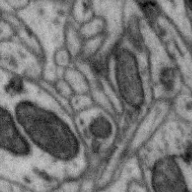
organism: Zebra finch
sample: Brain